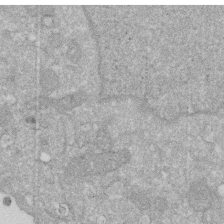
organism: Human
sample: HIV infected U937 cells